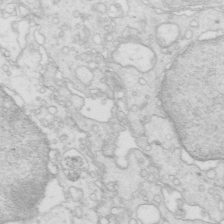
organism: Mouse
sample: Multiciliated cells